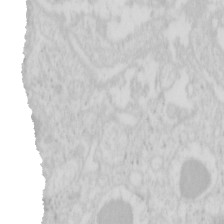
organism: Mouse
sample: Pancreas